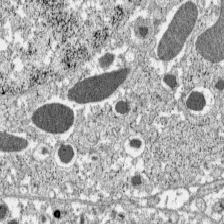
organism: C57BL Mouse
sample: Pancreatic islet